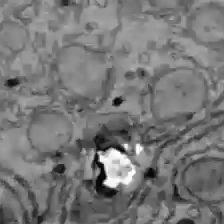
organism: C57BL Mouse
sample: Liver